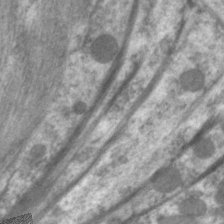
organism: C. elegans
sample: Pharynx